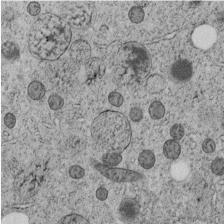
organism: C. elegans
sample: C. elegans embryo early stage